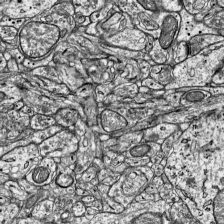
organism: Mouse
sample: Visual Cortex